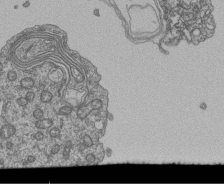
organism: Human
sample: Retinal organoid Rod and Cone cells